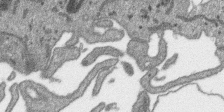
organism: Human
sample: Lung epithelial cells infected with SARS-CoV-2